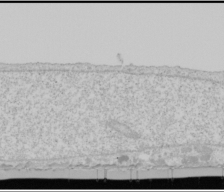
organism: Human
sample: Mitochondria in U2OS cells